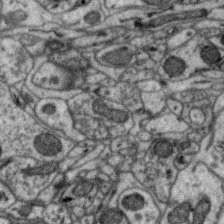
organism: Zebra finch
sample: Brain